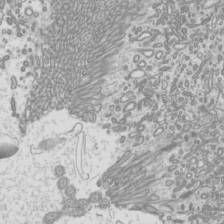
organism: Mouse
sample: Cilia; mouse epididymis